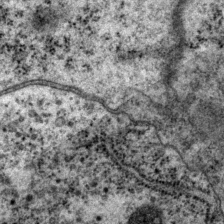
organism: P. pacificus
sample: Pharynx